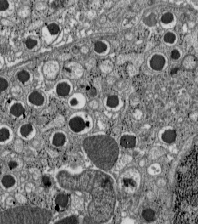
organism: C57BL Mouse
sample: Pancreatic islet